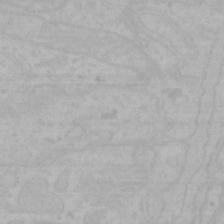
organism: Mouse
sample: Choroid plexus